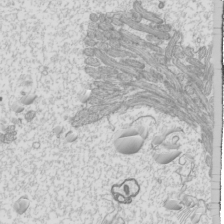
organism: Mouse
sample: Cilia; mouse epididymis